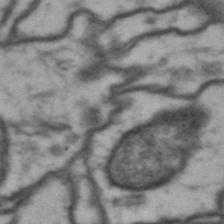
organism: Drosophila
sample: Brain